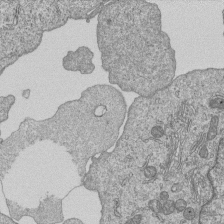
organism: Human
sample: MDA-MB-231 cells